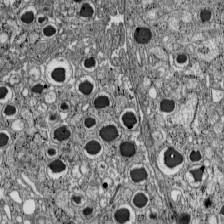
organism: C57BL Mouse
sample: Pancreatic islet